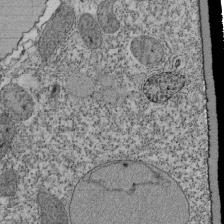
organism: Tetrahymena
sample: Cilia in tetrahymena